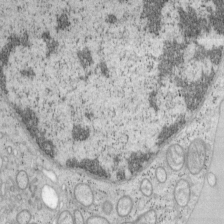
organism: Mouse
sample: OT-I killer T cells with ID8 ovarian cancer cells